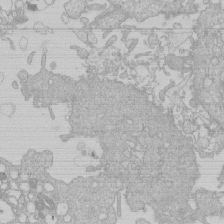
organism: Human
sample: Macrophage cells